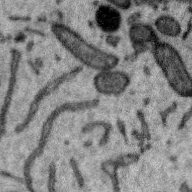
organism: Zebra finch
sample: Brain